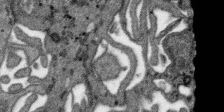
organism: Human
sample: Lung epithelial cells, uninfected (mock) control